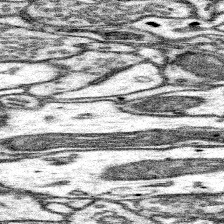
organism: Mouse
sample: Somatosensory cortex neuropil